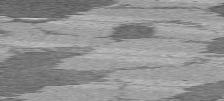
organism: C57BL Mouse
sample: Heart